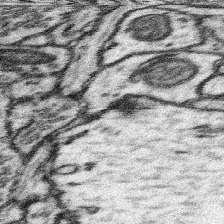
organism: Mouse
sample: Somatosensory cortex neuropil